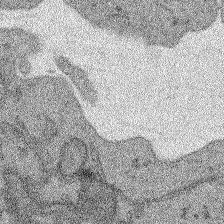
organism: Human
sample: HeLa cells